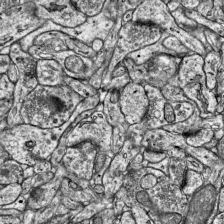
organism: Mouse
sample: Visual Cortex